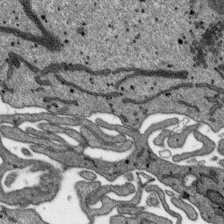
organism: Human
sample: Lung epithelial cells, uninfected (mock) control